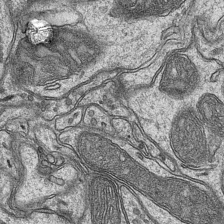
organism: Mouse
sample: CA1 Hippocampus